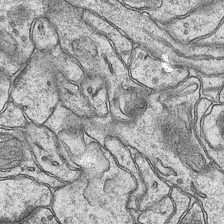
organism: Mouse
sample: CA1 Hippocampus